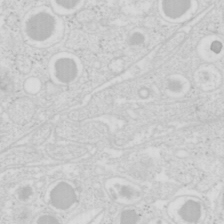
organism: Mouse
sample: Pancreas